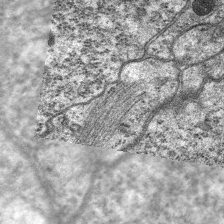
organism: C. elegans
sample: Pharynx